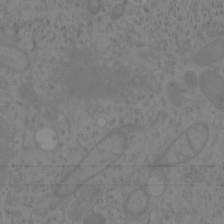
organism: Human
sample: HeLa cells